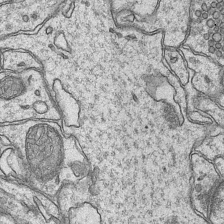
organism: Mouse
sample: CA1 Hippocampus